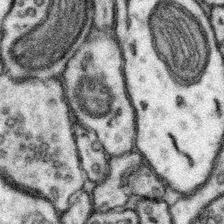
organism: Mouse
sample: Somatosensory cortex neuropil